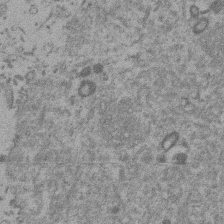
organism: Mouse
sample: Dividing mouse embryo 1 cell stage